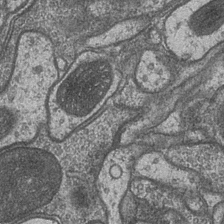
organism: Drosophila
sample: Optic medulla